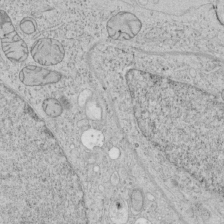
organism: Human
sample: Mitochondria in HCT116 cells